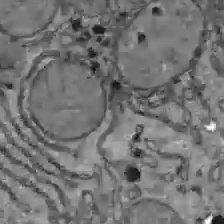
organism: C57BL Mouse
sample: Liver